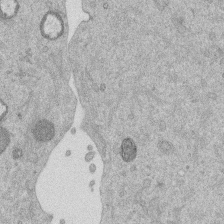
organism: Mouse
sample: Dividing mouse embryo 1 cell stage